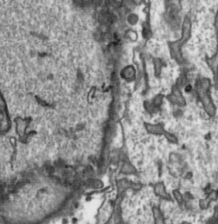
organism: Toxoplasma gondii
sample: Parasites in a vacuole inside a host cell